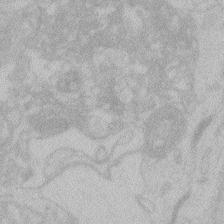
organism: Zebrafish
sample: Macrophage infected with Toxoplasma gondii